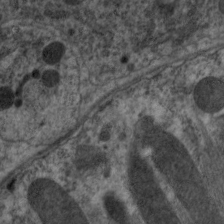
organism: C. elegans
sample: Pharynx